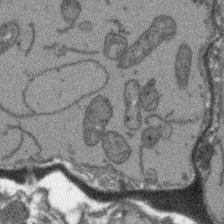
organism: Arabidopsis thaliana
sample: Root tip